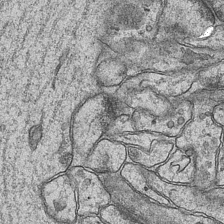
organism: Mouse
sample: CA1 Hippocampus